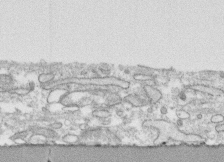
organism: Human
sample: CRL-1474